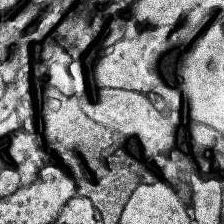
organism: Human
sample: Temporal Lobe